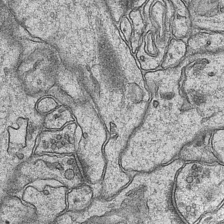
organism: Mouse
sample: CA1 Hippocampus